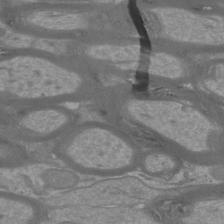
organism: Mouse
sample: Cortical neurons